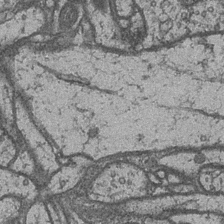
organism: Drosophila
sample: Optic medulla